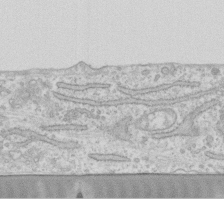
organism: Human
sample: Fibroblast cells